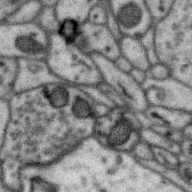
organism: Zebra finch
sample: Brain